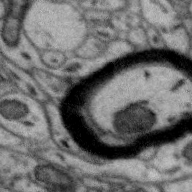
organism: Zebra finch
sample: Brain